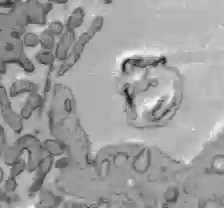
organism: C57BL Mouse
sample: Liver